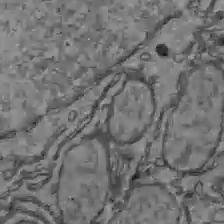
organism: C57BL Mouse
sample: Liver